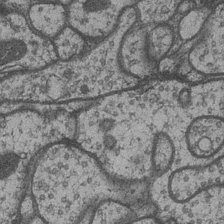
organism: Drosophila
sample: Optic medulla